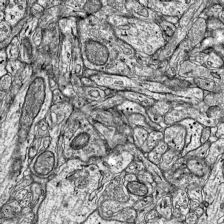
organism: Mouse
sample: Visual Cortex